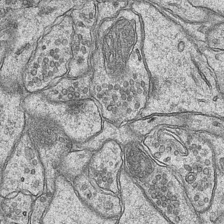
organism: Mouse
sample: CA1 Hippocampus